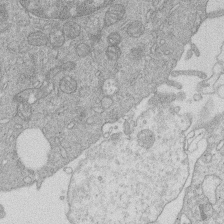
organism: Human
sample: Macrophage cells